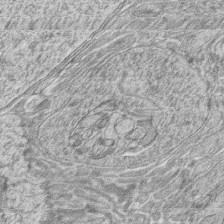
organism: Zebrafish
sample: synaptic ribbons in rod cells and cone cells